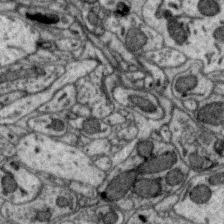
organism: Zebra finch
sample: Brain